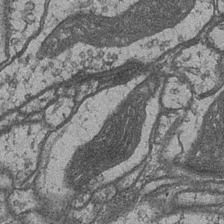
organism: Drosophila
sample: Optic medulla